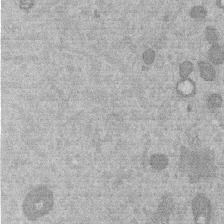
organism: Mouse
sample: Dividing mouse embryo 1 cell stage